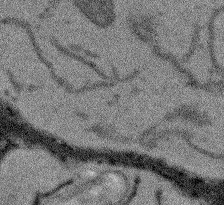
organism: Arabidopsis thaliana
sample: Root tip